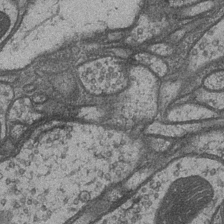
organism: Drosophila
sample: Optic medulla